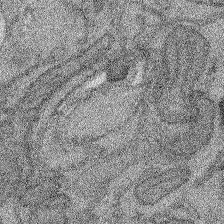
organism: Human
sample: HeLa cells